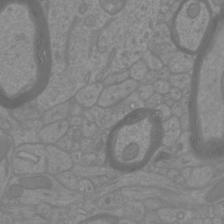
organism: Mouse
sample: Cortical neurons